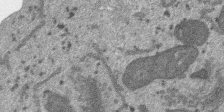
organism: Human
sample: Lung epithelial cells infected with SARS-CoV-2